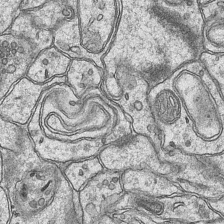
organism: Mouse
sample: CA1 Hippocampus